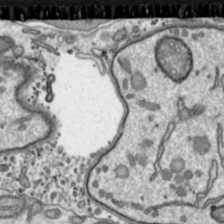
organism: Toxoplasma gondii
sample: Parasites in a vacuole inside a host cell